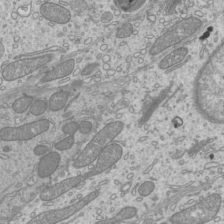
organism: Mouse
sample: Cilia; mouse epididymis